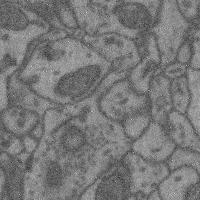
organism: Mouse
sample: Cerebral cortex